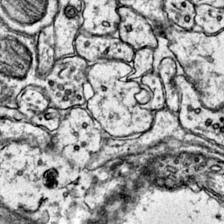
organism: Mouse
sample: Primary visual cortex